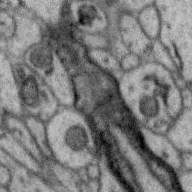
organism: Zebra finch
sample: Brain